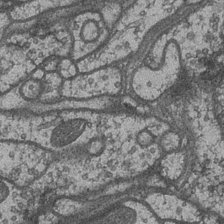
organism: Drosophila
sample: Optic medulla